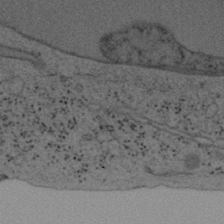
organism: Human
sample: HeLa cells